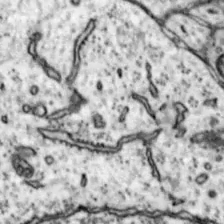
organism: Mouse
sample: Nucleus accumbens